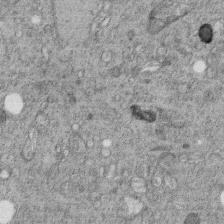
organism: C. elegans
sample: C. elegans embryo early stage